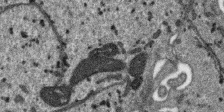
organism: Human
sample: Lung epithelial cells infected with SARS-CoV-2